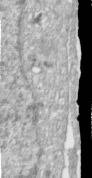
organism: Human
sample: Centriole in RPE cells